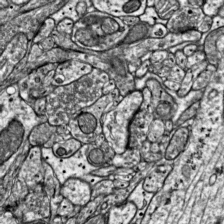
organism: Mouse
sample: Visual Cortex